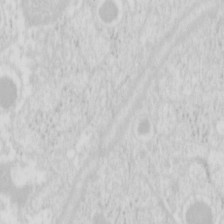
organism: Mouse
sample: Pancreas